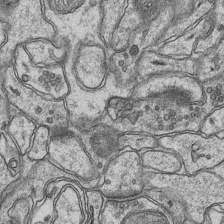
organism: Mouse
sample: CA1 Hippocampus